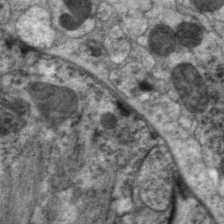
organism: C. elegans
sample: Pharynx